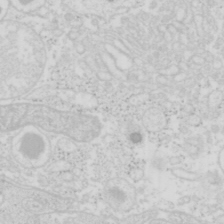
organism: Mouse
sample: Pancreas